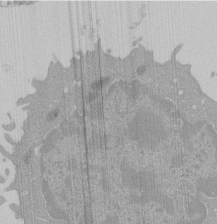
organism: Mouse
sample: Activated Pmel transgenic CD8+ T Cells